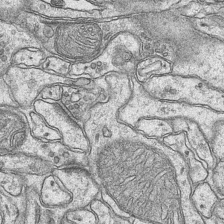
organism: Mouse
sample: CA1 Hippocampus